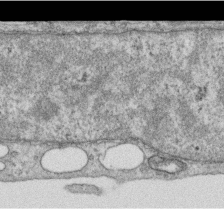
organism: Human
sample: Centriole in RPE cells